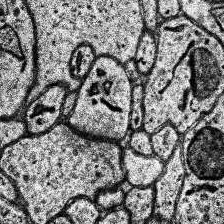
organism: Human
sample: Temporal Lobe